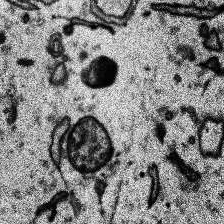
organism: Human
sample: Temporal Lobe